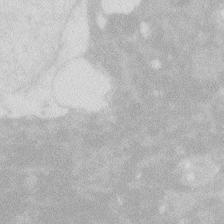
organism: Zebrafish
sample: Macrophage